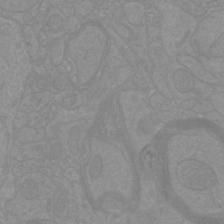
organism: Mouse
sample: Cortical neurons